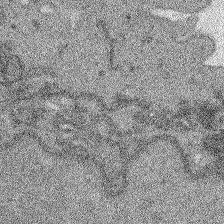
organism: Human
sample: HeLa cells